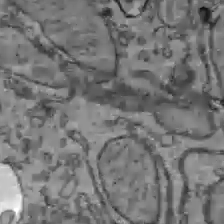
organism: C57BL Mouse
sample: Liver